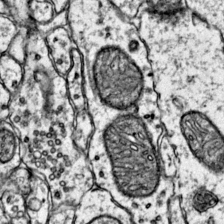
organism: Mouse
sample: Primary visual cortex